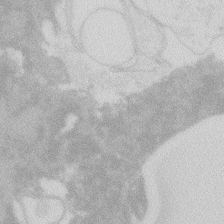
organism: Zebrafish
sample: Macrophage